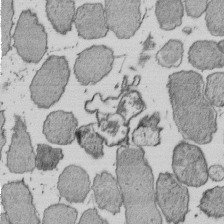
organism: E. coli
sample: Bacterial nucleoid